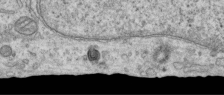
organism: Human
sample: Centriole in RPE cells